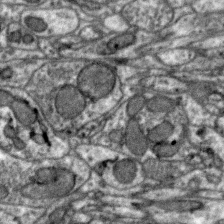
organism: Zebra finch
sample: Brain